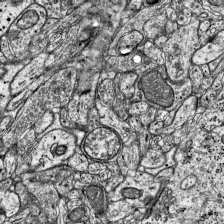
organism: Mouse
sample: Visual Cortex